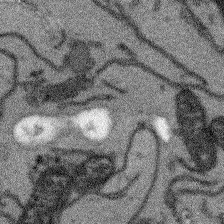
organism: Arabidopsis thaliana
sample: Root tip